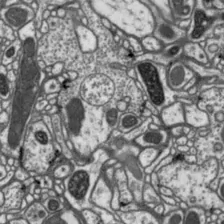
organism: Drosophila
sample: Protocerebral bridge